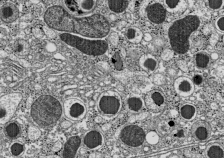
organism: C57BL Mouse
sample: Pancreatic islet